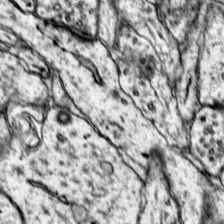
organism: Mouse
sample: Primary visual cortex